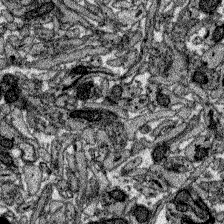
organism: Zebrafish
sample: Larval olfactory bulb